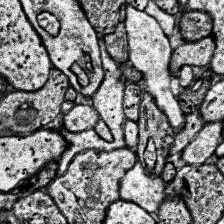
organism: Human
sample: Temporal Lobe